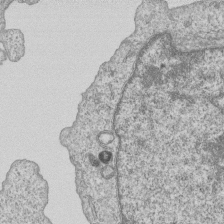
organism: Human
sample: MDA-MB-231 cells